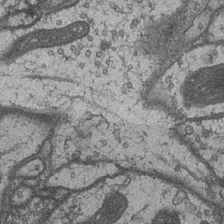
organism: Drosophila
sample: Optic medulla